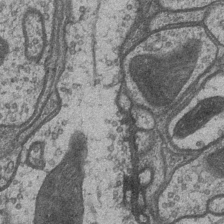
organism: Drosophila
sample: Optic medulla